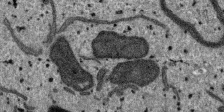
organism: Human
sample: Lung epithelial cells, uninfected (mock) control